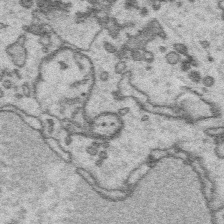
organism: Platynereis dumerilii